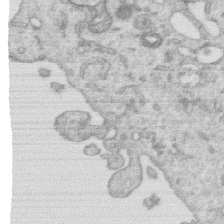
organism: Human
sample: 1205lu cells